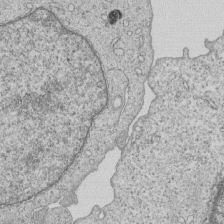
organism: Human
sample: MDA-MB-231 cells